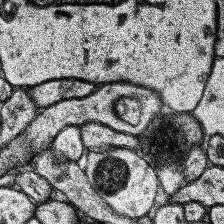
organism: Human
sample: Temporal Lobe